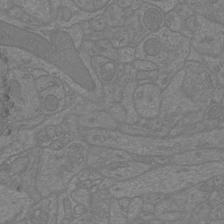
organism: Mouse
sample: Cortical neurons